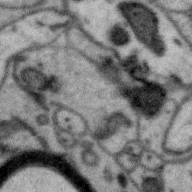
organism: Zebra finch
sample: Brain